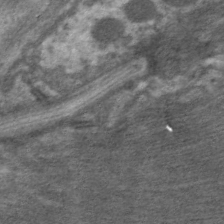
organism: C. elegans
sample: Pharynx